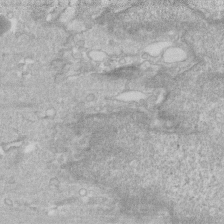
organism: Human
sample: Fibroblast cells